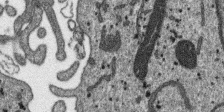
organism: Human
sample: Lung epithelial cells infected with SARS-CoV-2